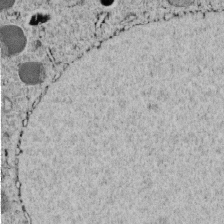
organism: C. elegans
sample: C. elegans embryo early stage